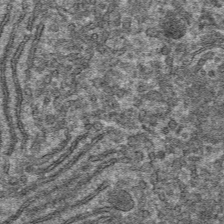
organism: Mouse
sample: Mouse hepatocytes